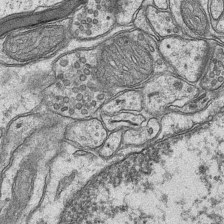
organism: Mouse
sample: CA1 Hippocampus